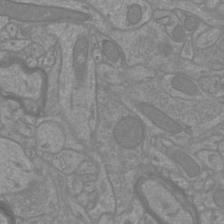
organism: Mouse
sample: Cortical neurons